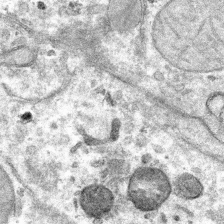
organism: Mouse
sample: Mouse hepatocytes